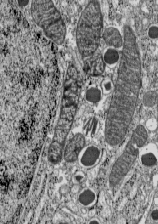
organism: C57BL Mouse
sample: Pancreatic islet